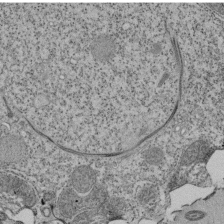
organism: Tetrahymena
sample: Cilia in tetrahymena